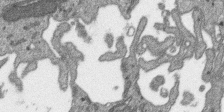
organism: Human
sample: Lung epithelial cells infected with SARS-CoV-2